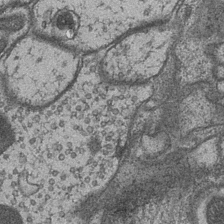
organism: Drosophila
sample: Optic medulla